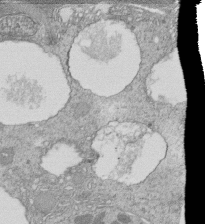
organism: Tetrahymena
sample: Cilia in tetrahymena